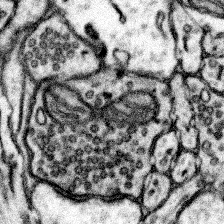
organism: Mouse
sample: Somatosensory cortex neuropil